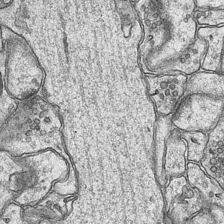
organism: Mouse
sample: CA1 Hippocampus